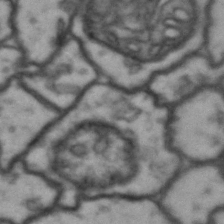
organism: Drosophila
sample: Brain